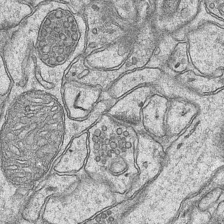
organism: Mouse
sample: CA1 Hippocampus